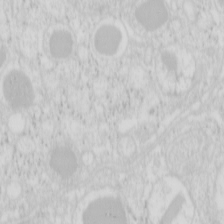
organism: Mouse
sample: Pancreas